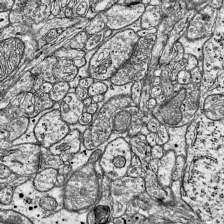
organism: Mouse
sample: Visual Cortex